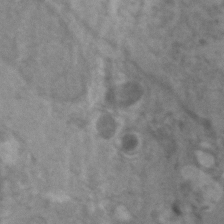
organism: Zebrafish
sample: Zebrafish embryo